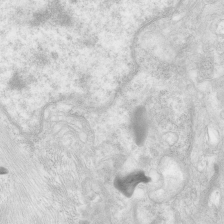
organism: Human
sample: Neocortex